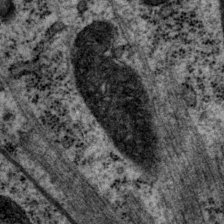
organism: P. pacificus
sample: Pharynx